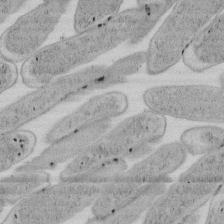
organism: E. coli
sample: Bacterial nucleoid